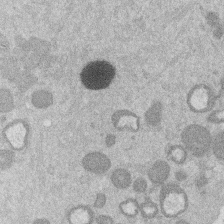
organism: Mouse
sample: Dividing mouse embryo 1 cell stage